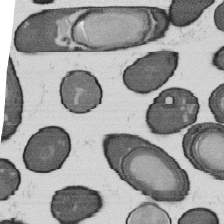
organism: B. subtilis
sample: Bacterial spore